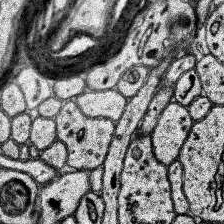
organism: Human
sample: Temporal Lobe